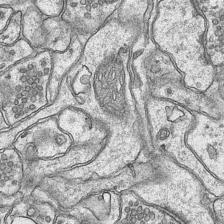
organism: Mouse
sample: CA1 Hippocampus